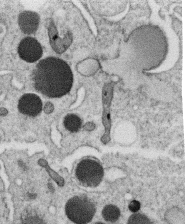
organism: C. elegans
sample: C. elegans oocyte; sperm cells